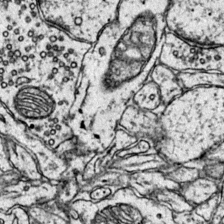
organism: Mouse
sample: Primary visual cortex